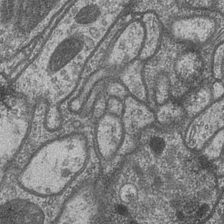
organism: Drosophila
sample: Optic medulla